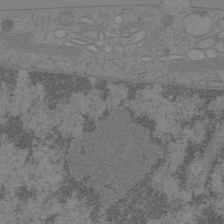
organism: Human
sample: HeLa cells